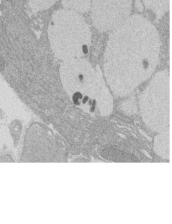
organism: Rat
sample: Salivary granule